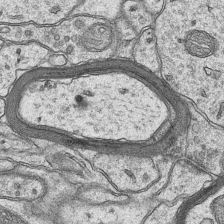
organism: Mouse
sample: CA1 Hippocampus